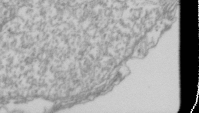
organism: Drosophila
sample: Cell division; meiosis; drosophila spermatocytes